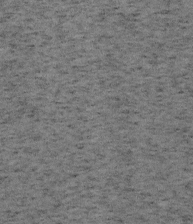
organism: Mouse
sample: OT-I killer T cells with ID8 ovarian cancer cells